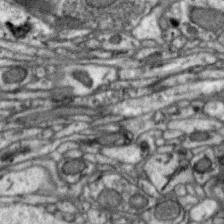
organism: Zebra finch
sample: Brain